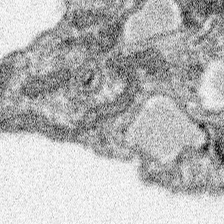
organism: Spongilla lacustris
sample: Neuroid cell